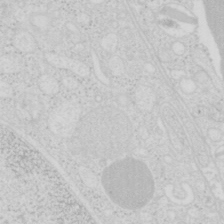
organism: Mouse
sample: Pancreas